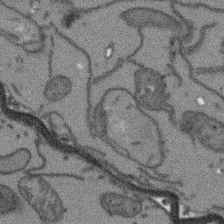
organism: Arabidopsis thaliana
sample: Root tip